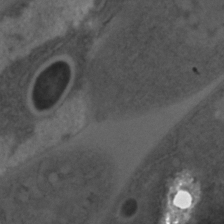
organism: C. elegans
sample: C. elegans embryo